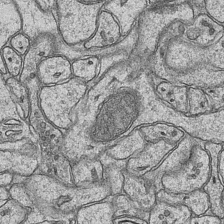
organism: Mouse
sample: CA1 Hippocampus